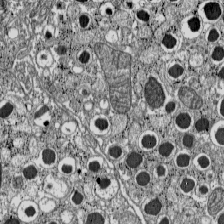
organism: C57BL Mouse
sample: Pancreatic islet